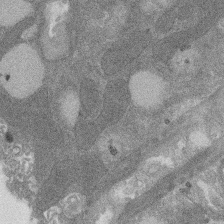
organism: Rat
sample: Salivary granule